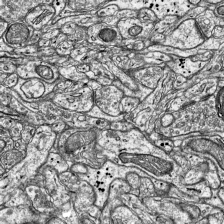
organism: Mouse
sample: Visual Cortex